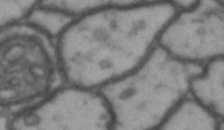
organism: Drosophila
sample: Brain